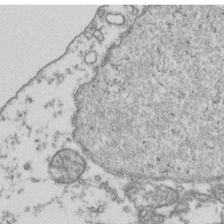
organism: Human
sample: Activated Jurkat CD4+ T cells